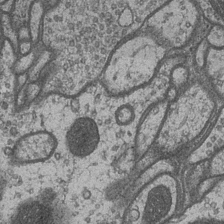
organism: Drosophila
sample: Optic medulla